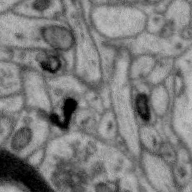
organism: Zebra finch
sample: Brain